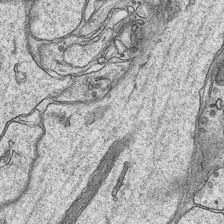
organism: Mouse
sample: CA1 Hippocampus